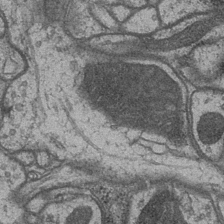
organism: Drosophila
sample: Optic medulla